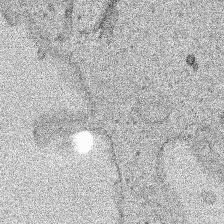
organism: Human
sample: Mitochondria in HCT116 cells